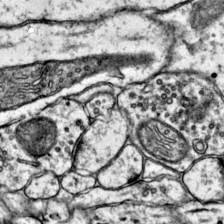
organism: Mouse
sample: Primary visual cortex